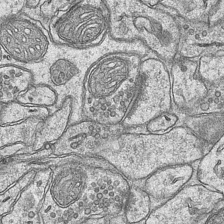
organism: Mouse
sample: CA1 Hippocampus